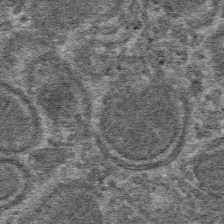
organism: Mouse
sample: Mouse hepatocytes